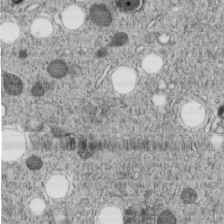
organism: C. elegans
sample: C. elegans embryo early stage